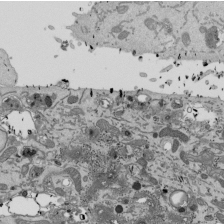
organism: Mouse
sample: ED-1 cell nuclei; centrioles